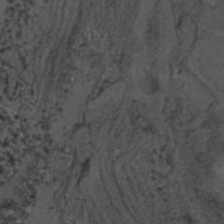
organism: C. elegans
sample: C. elegans embryo